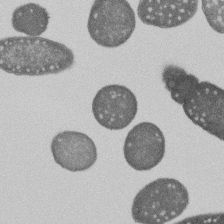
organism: E. coli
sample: Bacterial nucleoid